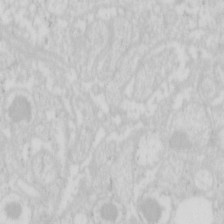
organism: Mouse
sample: Pancreas